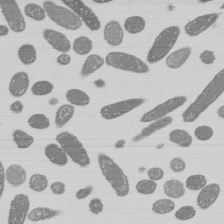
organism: E. coli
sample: Bacterial nucleoid